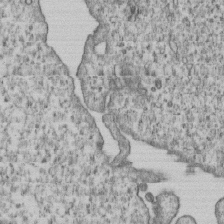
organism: Human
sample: MDA-MB-231 cells